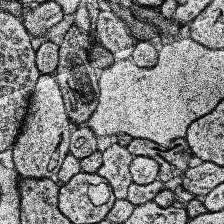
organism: Human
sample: Temporal Lobe